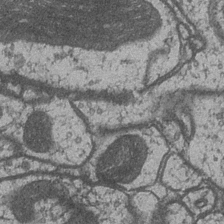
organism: Drosophila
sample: Optic medulla